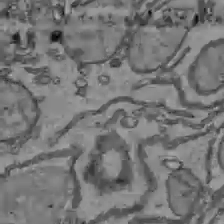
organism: C57BL Mouse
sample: Liver